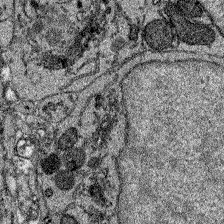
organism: Zebrafish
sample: Larval olfactory bulb